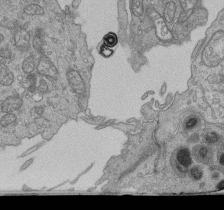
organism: Human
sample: Retinal organoid Rod and Cone cells